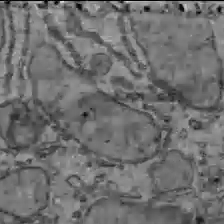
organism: C57BL Mouse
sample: Liver